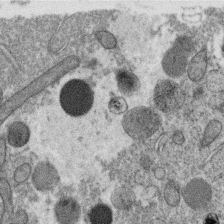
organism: C. elegans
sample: C. elegans oocyte; sperm cells